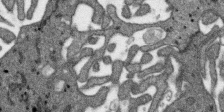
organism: Human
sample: Lung epithelial cells, uninfected (mock) control